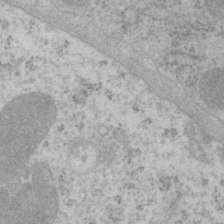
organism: P. pacificus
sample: Pharynx